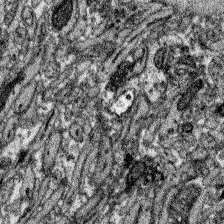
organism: Zebrafish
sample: Larval olfactory bulb